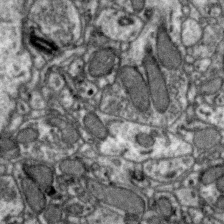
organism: Zebra finch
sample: Brain